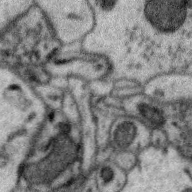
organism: Zebra finch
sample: Brain